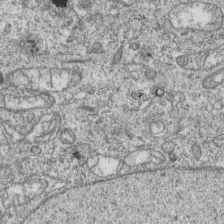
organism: Human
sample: HeLa cell HIV synapse